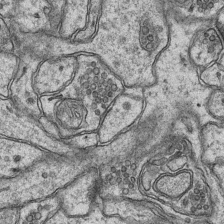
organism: Mouse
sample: CA1 Hippocampus